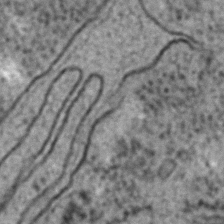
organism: C. elegans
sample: C. elegans embryo